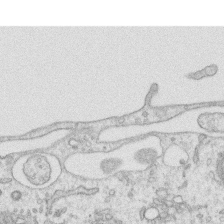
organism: Human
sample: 1205lu cells